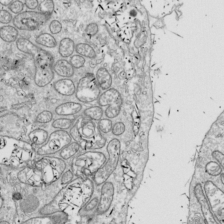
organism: Drosophila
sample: Cell division; meiosis; drosophila spermatocytes